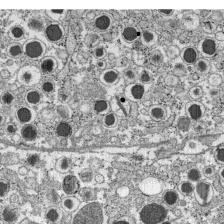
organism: C57BL Mouse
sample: Pancreatic islet